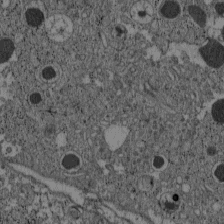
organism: C57BL Mouse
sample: Pancreatic islet